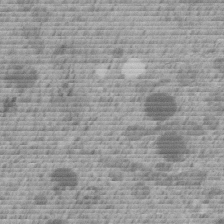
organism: C. elegans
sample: C. elegans embryo early stage